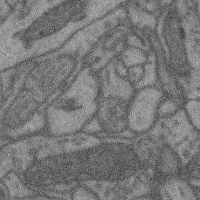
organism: Mouse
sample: Cerebral cortex